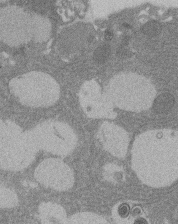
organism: Rat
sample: Salivary granule